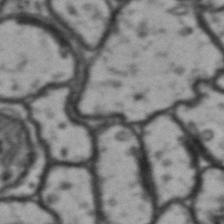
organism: Drosophila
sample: Brain